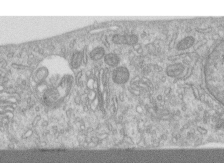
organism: Human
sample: Centriole in RPE cells